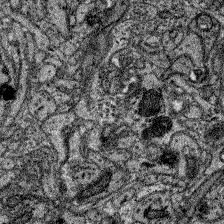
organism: Zebrafish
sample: Larval olfactory bulb